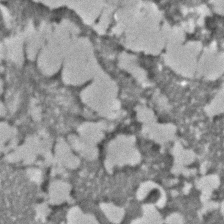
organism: C. elegans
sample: C. elegans embryo